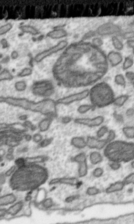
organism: Toxoplasma gondii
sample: Parasites in a vacuole inside a host cell